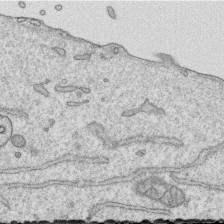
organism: Human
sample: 1205lu cells